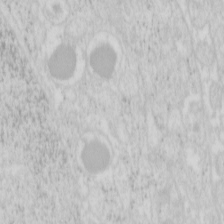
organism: Mouse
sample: Pancreas